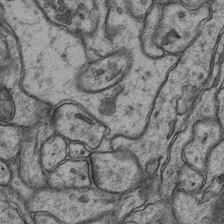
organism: Mouse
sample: CA1 Hippocampus